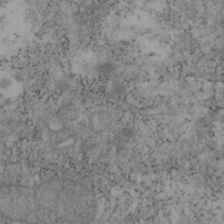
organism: Mouse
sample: OT-I killer T cells with ID8 ovarian cancer cells